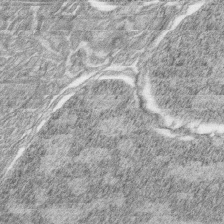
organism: Zebrafish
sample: synaptic ribbons in rod cells and cone cells